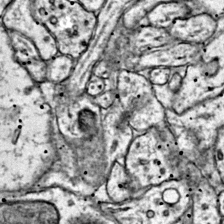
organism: Mouse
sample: Primary visual cortex